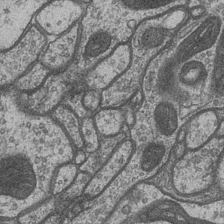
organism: Drosophila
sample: Optic medulla